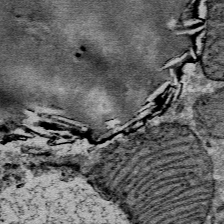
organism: Mouse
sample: Mouse Salivary gland